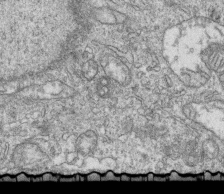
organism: Human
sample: HeLa cell HIV synapse